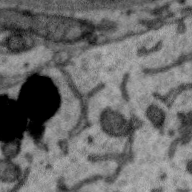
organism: Zebra finch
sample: Brain